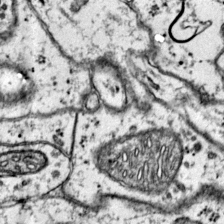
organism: Mouse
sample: Primary visual cortex